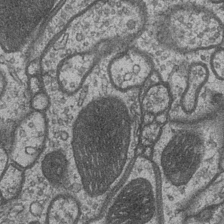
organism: Drosophila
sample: Optic medulla